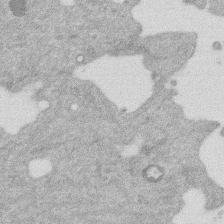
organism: Mouse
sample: Dividing mouse embryo 1 cell stage